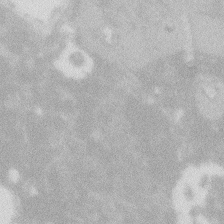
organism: Zebrafish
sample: Macrophage